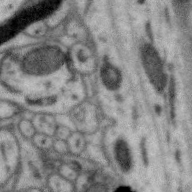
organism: Zebra finch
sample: Brain